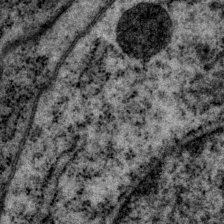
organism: P. pacificus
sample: Pharynx